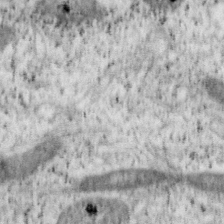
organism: Mouse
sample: OT-I killer T cells with ID8 ovarian cancer cells